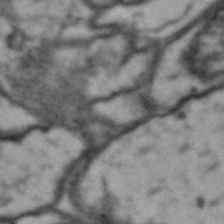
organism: Drosophila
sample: Brain